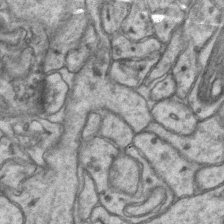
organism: Mouse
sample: CA1 Hippocampus